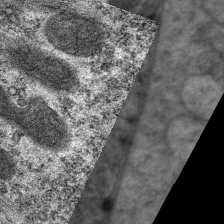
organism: C. elegans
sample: Pharynx